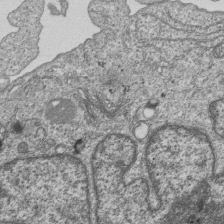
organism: Human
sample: MDA-MB-231 cells